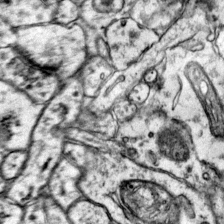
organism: Mouse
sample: Primary visual cortex